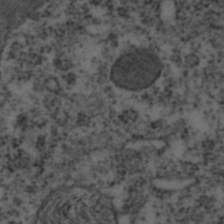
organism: C. elegans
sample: C. elegans embryo